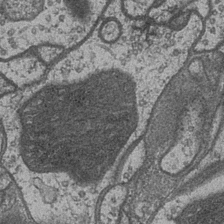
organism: Drosophila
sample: Optic medulla